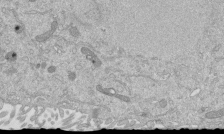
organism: Mouse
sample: ED-1 cell nuclei; centrioles